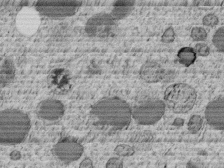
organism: C. elegans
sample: C. elegans embryo early stage